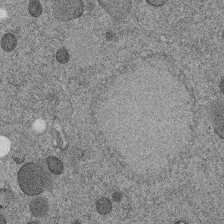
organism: C. elegans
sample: C. elegans embryo early stage